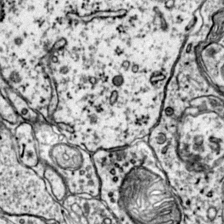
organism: Mouse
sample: Primary visual cortex